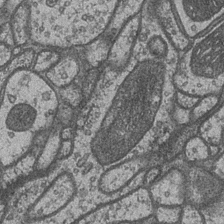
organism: Drosophila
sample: Optic medulla